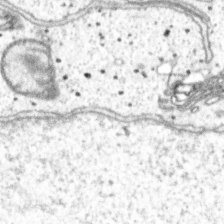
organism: Human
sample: HeLa cells